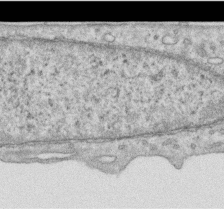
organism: Human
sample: Centriole in RPE cells